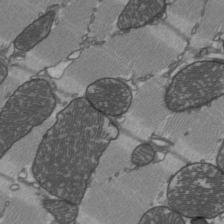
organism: C57BL Mouse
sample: Heart